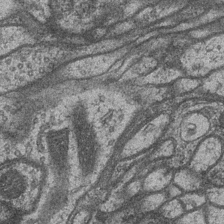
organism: Drosophila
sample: Optic medulla